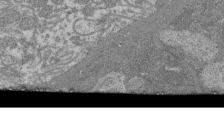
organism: Mouse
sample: Glomerulus